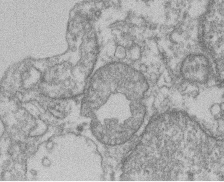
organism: Mouse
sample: T cell stromal cell synapse